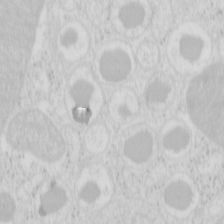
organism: Mouse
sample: Pancreas